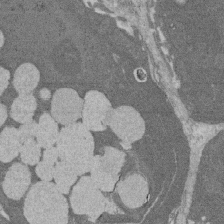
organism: Rat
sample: Salivary granule